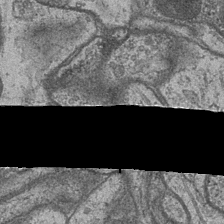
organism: Drosophila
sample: Optic medulla